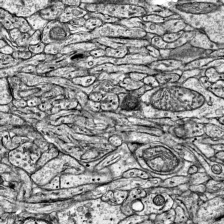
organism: Mouse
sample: Visual Cortex